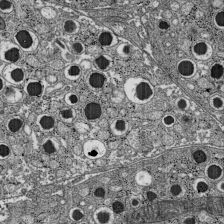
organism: C57BL Mouse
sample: Pancreatic islet